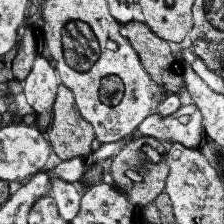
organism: Human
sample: Temporal Lobe